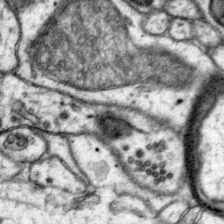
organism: Mouse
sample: Primary visual cortex